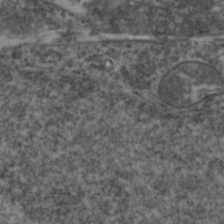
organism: Zebrafish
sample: Zebrafish embryo